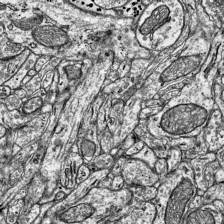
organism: Mouse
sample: Visual Cortex